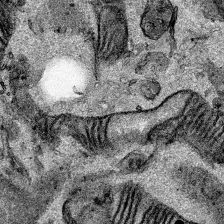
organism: Human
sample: Mitochondria in HCT116 cells